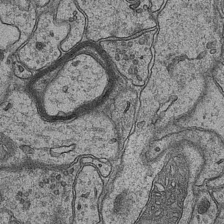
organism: Mouse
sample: CA1 Hippocampus